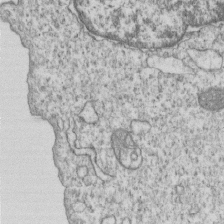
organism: Human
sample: MDA-MB-231 cells